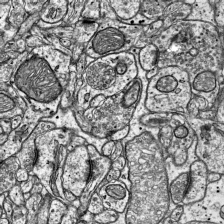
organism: Mouse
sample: Visual Cortex